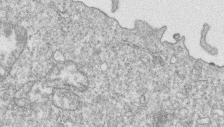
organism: Human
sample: HeLa cell HIV synapse